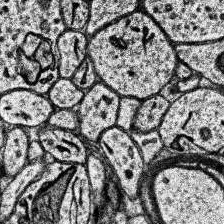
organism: Human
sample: Temporal Lobe